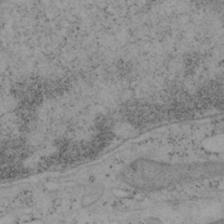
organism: Mouse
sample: OT-I killer T cells with ID8 ovarian cancer cells